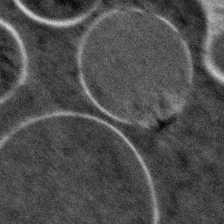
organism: Zebrafish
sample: Zebrafish embryo